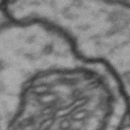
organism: Drosophila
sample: Brain